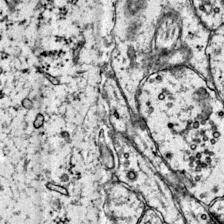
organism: Mouse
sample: Primary visual cortex